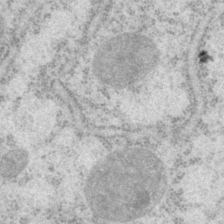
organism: P. pacificus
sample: Pharynx